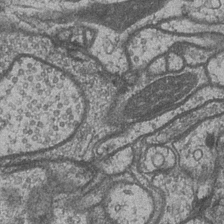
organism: Drosophila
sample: Optic medulla